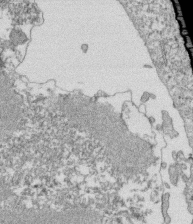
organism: Human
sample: HeLa cell HIV synapse